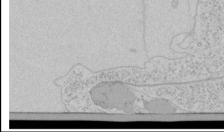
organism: Human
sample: Mitochondria in HCT116 cells